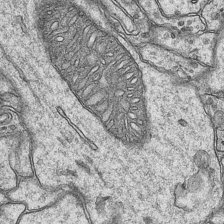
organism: Mouse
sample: CA1 Hippocampus